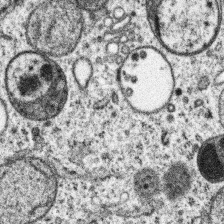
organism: Human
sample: HeLa cells